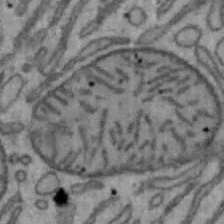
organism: Mouse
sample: Liver